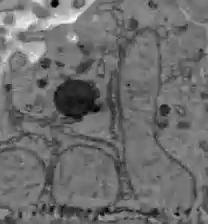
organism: C57BL Mouse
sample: Liver